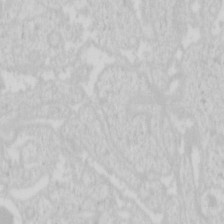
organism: Mouse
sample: Pancreas